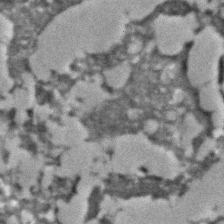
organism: C. elegans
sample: C. elegans embryo